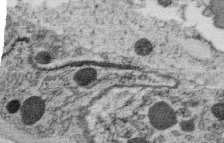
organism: C. elegans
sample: C. elegans oocyte; sperm cells